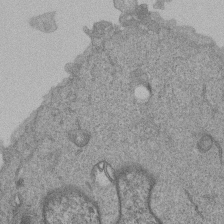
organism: Human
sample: MDA-MB-231 cells